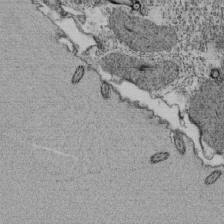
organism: Tetrahymena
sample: Cilia in tetrahymena